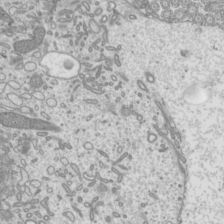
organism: Mouse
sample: Cilia; mouse epididymis